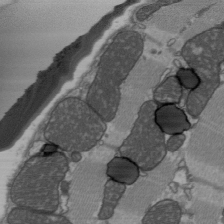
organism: C57BL Mouse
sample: Heart